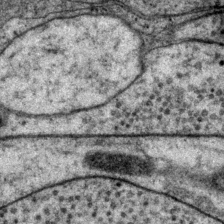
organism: P. pacificus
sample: Pharynx